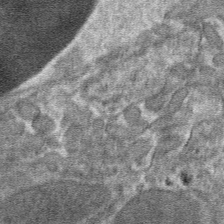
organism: Mouse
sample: Mouse hepatocytes